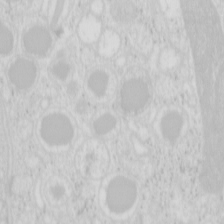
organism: Mouse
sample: Pancreas